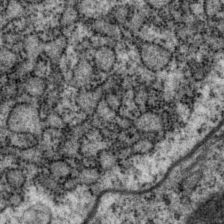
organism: P. pacificus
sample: Pharynx